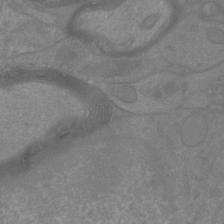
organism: Mouse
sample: Cortical neurons